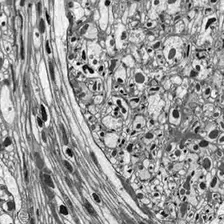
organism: Drosophila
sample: Optic lobe